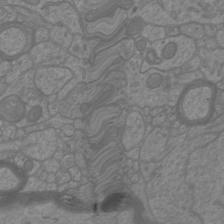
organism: Mouse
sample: Cortical neurons